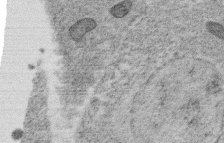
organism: C. elegans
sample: C. elegans oocyte; sperm cells